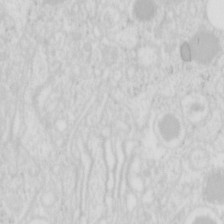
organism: Mouse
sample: Pancreas